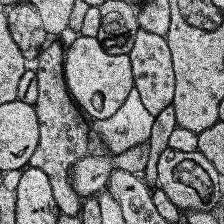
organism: Human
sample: Temporal Lobe